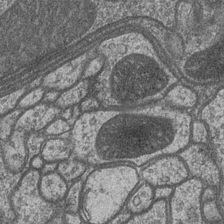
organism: Drosophila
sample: Optic medulla